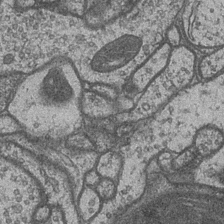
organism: Drosophila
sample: Optic medulla